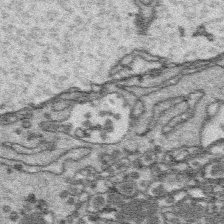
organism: Platynereis dumerilii